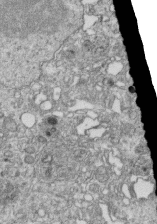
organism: Human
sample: HeLa cell HIV synapse